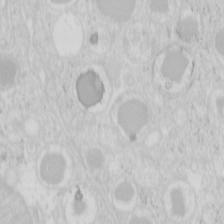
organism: Mouse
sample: Pancreas